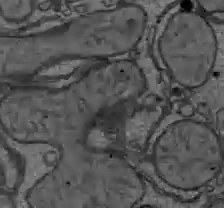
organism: C57BL Mouse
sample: Liver